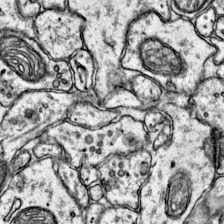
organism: Mouse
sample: Primary visual cortex